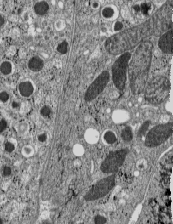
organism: C57BL Mouse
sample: Pancreatic islet